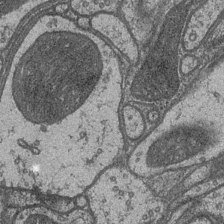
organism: Drosophila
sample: Optic medulla